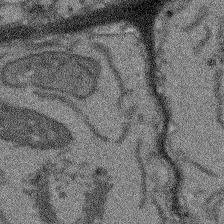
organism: Arabidopsis thaliana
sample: Root tip